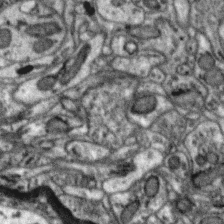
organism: Zebra finch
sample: Brain